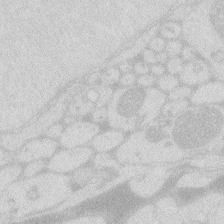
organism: Zebrafish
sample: Macrophage